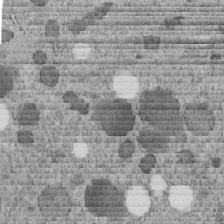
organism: C. elegans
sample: C. elegans embryo early stage